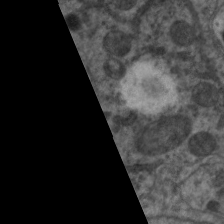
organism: C. elegans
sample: Pharynx